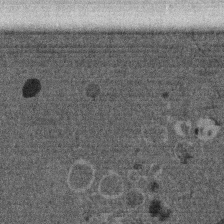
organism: Mouse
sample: Dividing mouse embryo 1 cell stage